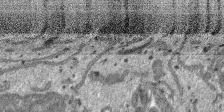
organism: Human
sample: Lung epithelial cells infected with SARS-CoV-2